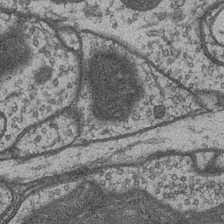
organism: Drosophila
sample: Optic medulla